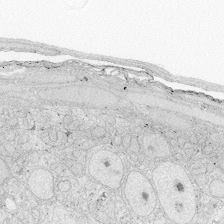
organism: Zebrafish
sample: Whole-Brain